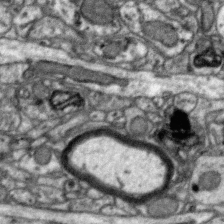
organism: Zebra finch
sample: Brain